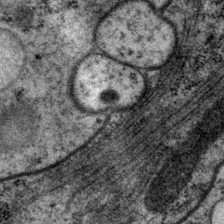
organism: P. pacificus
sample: Pharynx